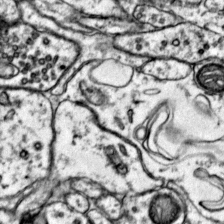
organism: Mouse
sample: Primary visual cortex